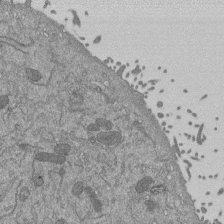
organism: Mouse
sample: ED-1 cell nuclei; centrioles